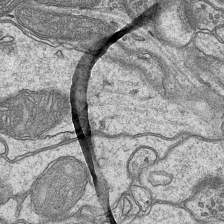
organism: Mouse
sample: CA1 Hippocampus